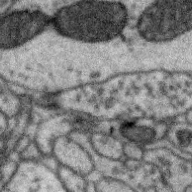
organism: Zebra finch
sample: Brain